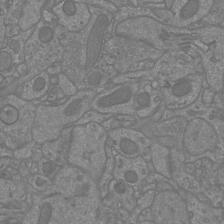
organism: Mouse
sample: Cortical neurons